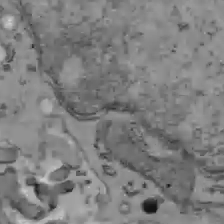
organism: C57BL Mouse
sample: Liver